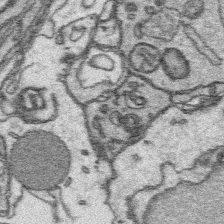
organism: Platynereis dumerilii